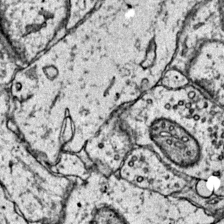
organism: Mouse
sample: Primary visual cortex